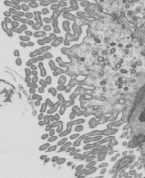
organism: Mouse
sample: Mouse epididymis efferent ductule cilia